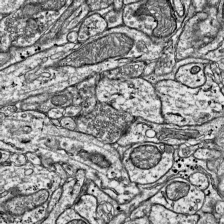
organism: Mouse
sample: Visual Cortex